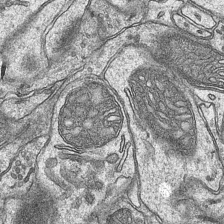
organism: Mouse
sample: CA1 Hippocampus